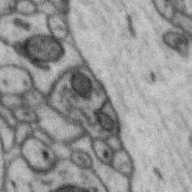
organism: Zebra finch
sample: Brain